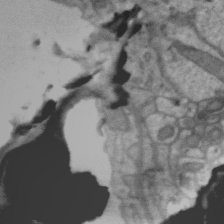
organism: Zebra finch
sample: Brain